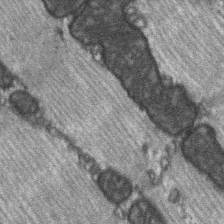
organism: C57BL Mouse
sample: Soleus